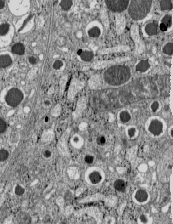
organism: C57BL Mouse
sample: Pancreatic islet